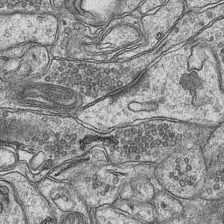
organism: Mouse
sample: CA1 Hippocampus